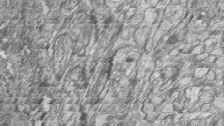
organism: Zebrafish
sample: synaptic ribbons in rod cells and cone cells